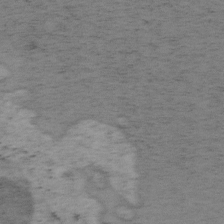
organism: Mouse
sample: OT-I killer T cells with ID8 ovarian cancer cells